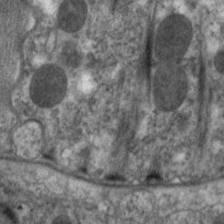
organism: C. elegans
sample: Pharynx